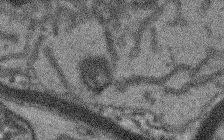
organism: Arabidopsis thaliana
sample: Root tip